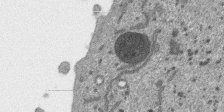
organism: Human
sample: Lung epithelial cells infected with SARS-CoV-2